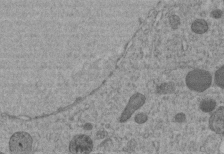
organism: C. elegans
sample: C. elegans embryo early stage